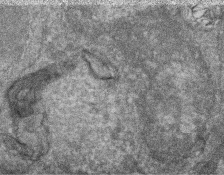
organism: Zebrafish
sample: Cilia; retinal pigment epithelium